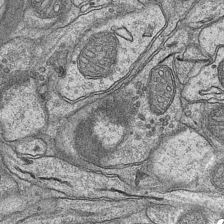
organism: Mouse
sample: CA1 Hippocampus